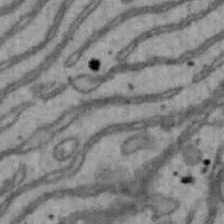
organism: Mouse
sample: Liver